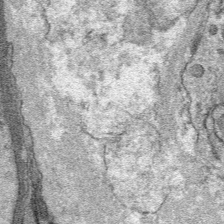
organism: Mouse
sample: Mouse Salivary gland